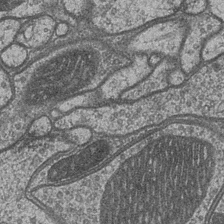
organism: Drosophila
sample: Optic medulla